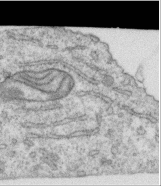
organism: Human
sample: Centriole in RPE cells